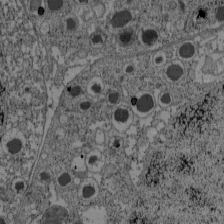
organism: C57BL Mouse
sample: Pancreatic islet